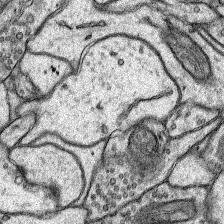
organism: Rat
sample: Hippocampus